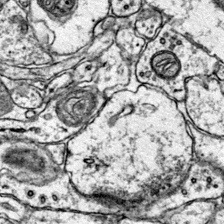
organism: Mouse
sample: Primary visual cortex